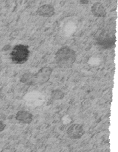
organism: C. elegans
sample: C. elegans embryo early stage